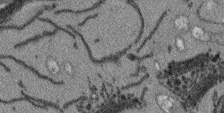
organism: Arabidopsis thaliana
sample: Root tip